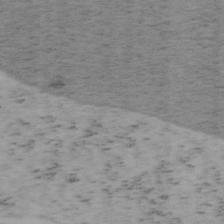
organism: Mouse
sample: OT-I killer T cells with ID8 ovarian cancer cells